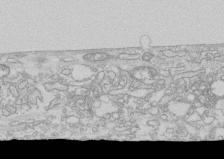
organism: Human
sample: CRL-1474